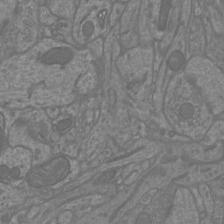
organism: Mouse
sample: Cortical neurons